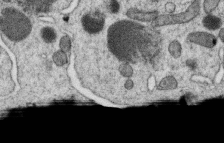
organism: C. elegans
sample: C. elegans oocyte; sperm cells